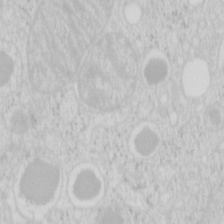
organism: Mouse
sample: Pancreas